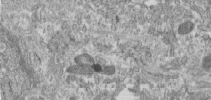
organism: Human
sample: Centriole in RPE cells